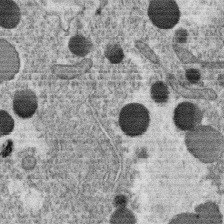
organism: C. elegans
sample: C. elegans oocyte; sperm cells